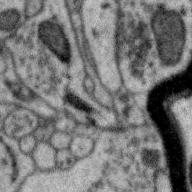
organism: Zebra finch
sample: Brain